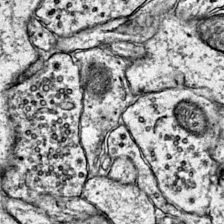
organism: Mouse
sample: Primary visual cortex